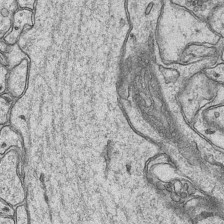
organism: Mouse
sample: CA1 Hippocampus